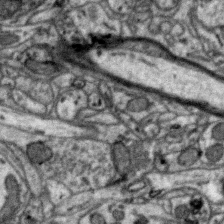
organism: Zebra finch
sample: Brain